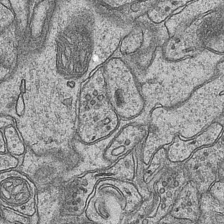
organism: Mouse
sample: CA1 Hippocampus